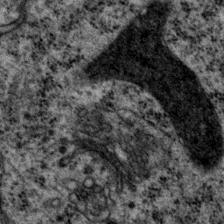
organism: P. pacificus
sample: Pharynx